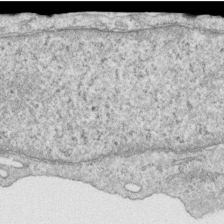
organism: Human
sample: Centriole in RPE cells